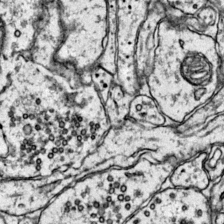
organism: Mouse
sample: Primary visual cortex